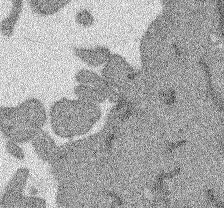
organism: Human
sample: HeLa cells